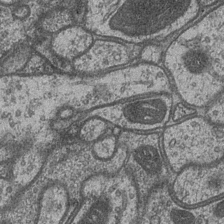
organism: Drosophila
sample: Optic medulla